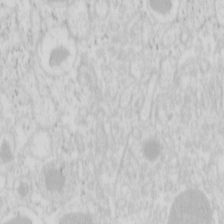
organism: Mouse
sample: Pancreas